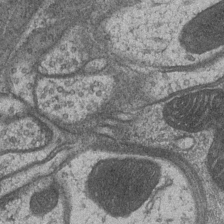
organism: Drosophila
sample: Optic medulla